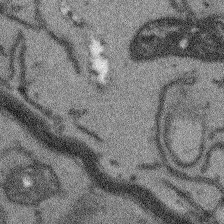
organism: Arabidopsis thaliana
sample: Root tip